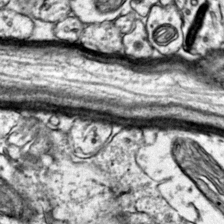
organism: Mouse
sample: Primary visual cortex